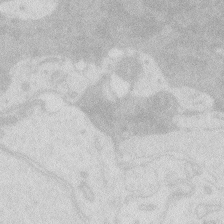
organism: Zebrafish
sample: Macrophage